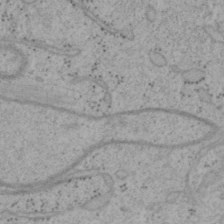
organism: Human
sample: HeLa cells